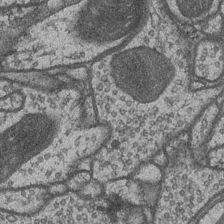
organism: Drosophila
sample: Optic medulla